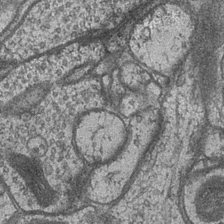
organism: Drosophila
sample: Optic medulla